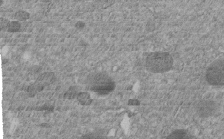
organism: C. elegans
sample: C. elegans embryo early stage